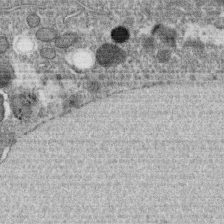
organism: C. elegans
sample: C. elegans oocyte; sperm cells